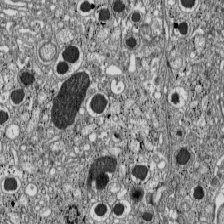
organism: C57BL Mouse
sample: Pancreatic islet